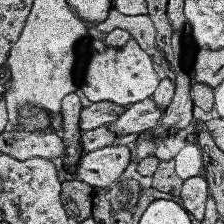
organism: Human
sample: Temporal Lobe